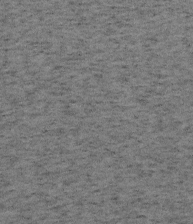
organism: Mouse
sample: OT-I killer T cells with ID8 ovarian cancer cells